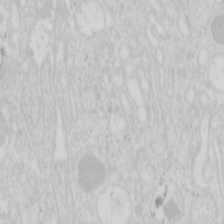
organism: Mouse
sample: Pancreas